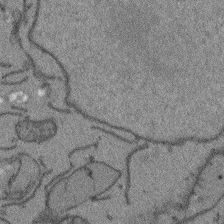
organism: Arabidopsis thaliana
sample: Root tip